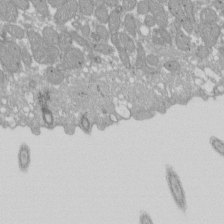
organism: Xenopus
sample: Cilia; centrioles in frog embryo cells